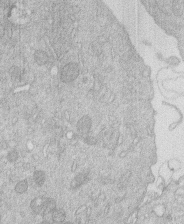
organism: Human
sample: Macrophage cells